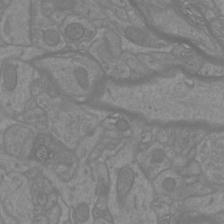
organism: Mouse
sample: Cortical neurons